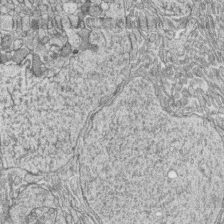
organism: Zebrafish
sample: synaptic ribbons in rod cells and cone cells